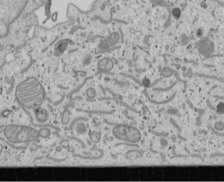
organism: Human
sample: Mitochondria in U2OS cells